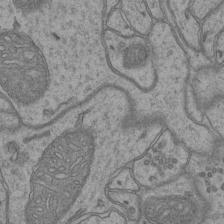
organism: Mouse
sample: CA1 Hippocampus